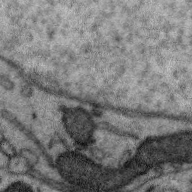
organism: Zebra finch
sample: Brain